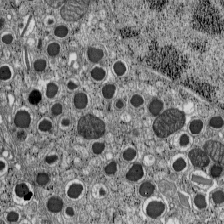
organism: C57BL Mouse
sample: Pancreatic islet